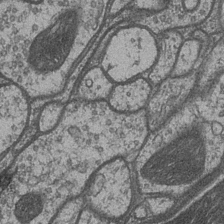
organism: Drosophila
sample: Optic medulla